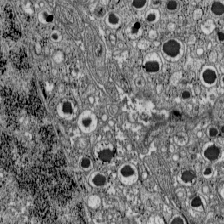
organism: C57BL Mouse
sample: Pancreatic islet